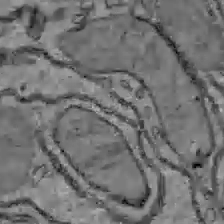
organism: C57BL Mouse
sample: Liver